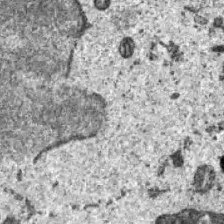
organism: Human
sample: HeLa cells